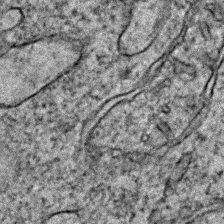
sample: Trachea